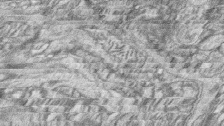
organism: Zebrafish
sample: synaptic ribbons in rod cells and cone cells